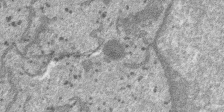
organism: Human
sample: Lung epithelial cells infected with SARS-CoV-2